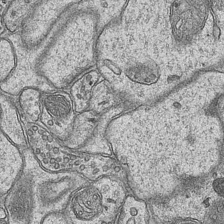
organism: Mouse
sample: CA1 Hippocampus